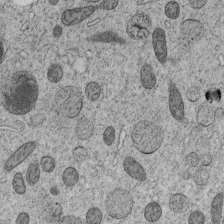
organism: C. elegans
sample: C. elegans embryo early stage